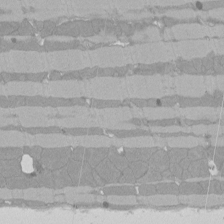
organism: Rat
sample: Left ventricle